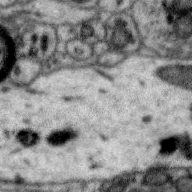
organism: Zebra finch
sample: Brain